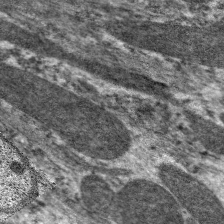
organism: C. elegans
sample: Pharynx